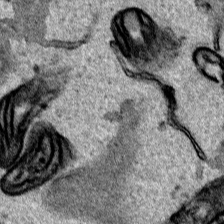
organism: Human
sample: Mitochondria in HCT116 cells